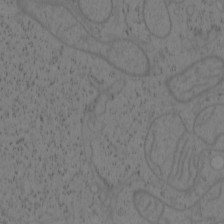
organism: Human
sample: HeLa cells